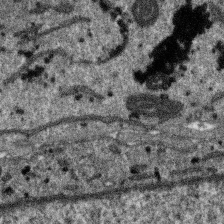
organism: Human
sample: Lung epithelial cells infected with SARS-CoV-2